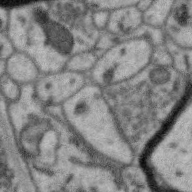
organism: Zebra finch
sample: Brain